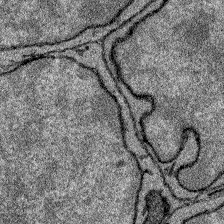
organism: Zebrafish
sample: Larval olfactory bulb